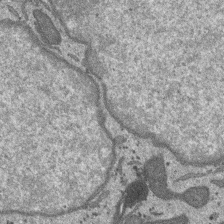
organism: Human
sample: Lung epithelial cells infected with SARS-CoV-2